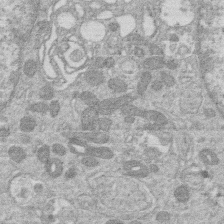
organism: Human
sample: Macrophage cells